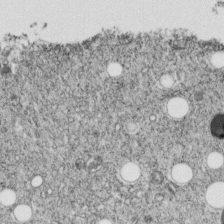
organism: C. elegans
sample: C. elegans embryo early stage